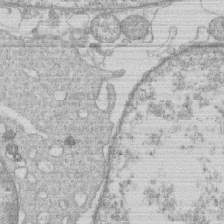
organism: Human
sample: Macrophage cells